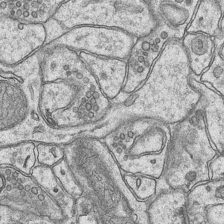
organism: Mouse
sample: CA1 Hippocampus